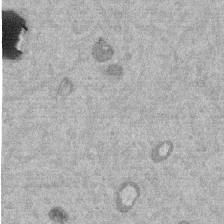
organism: Mouse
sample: Dividing mouse embryo 1 cell stage